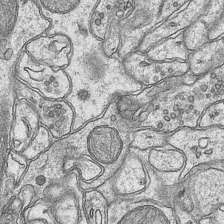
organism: Mouse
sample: CA1 Hippocampus